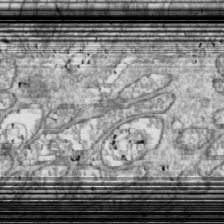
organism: Drosophila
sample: Cell division; meiosis; drosophila spermatocytes